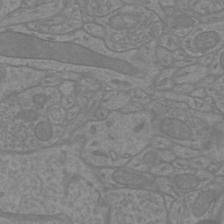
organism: Mouse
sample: Cortical neurons